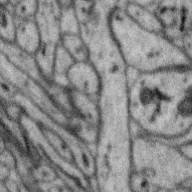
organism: Zebra finch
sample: Brain